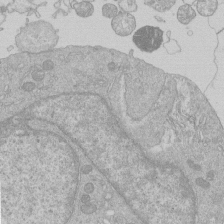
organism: Human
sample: Macrophage cells